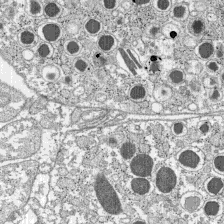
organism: C57BL Mouse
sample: Pancreatic islet